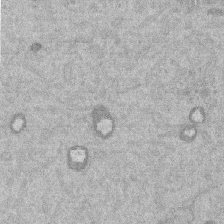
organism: Mouse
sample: Dividing mouse embryo 1 cell stage